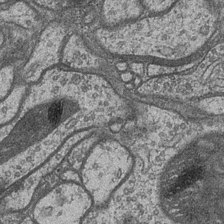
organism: Drosophila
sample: Optic medulla